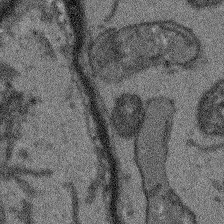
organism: Arabidopsis thaliana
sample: Root tip